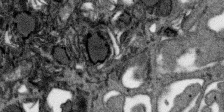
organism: Human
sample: Lung epithelial cells, uninfected (mock) control